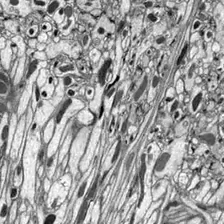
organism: Drosophila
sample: Optic lobe